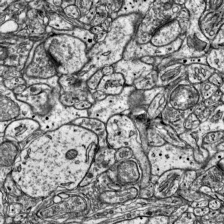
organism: Mouse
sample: Visual Cortex